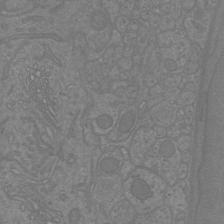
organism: Mouse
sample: Cortical neurons